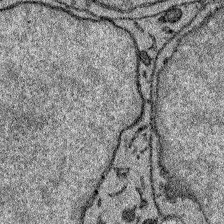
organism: Zebrafish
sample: Larval olfactory bulb